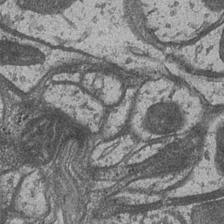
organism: Drosophila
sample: Optic medulla